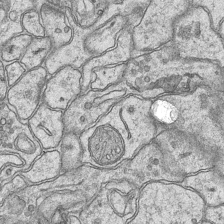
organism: Mouse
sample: CA1 Hippocampus